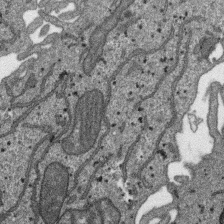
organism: Human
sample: Lung epithelial cells infected with SARS-CoV-2